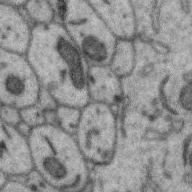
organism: Zebra finch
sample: Brain